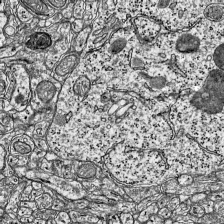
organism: Mouse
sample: Visual Cortex